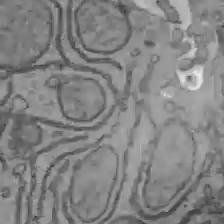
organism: C57BL Mouse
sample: Liver